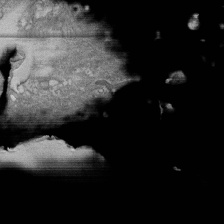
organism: Human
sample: Fibroblast cells